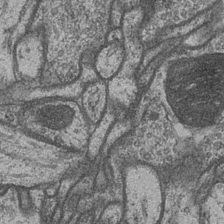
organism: Drosophila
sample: Optic medulla